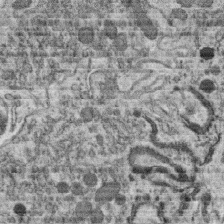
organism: C. elegans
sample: C. elegans oocyte; sperm cells